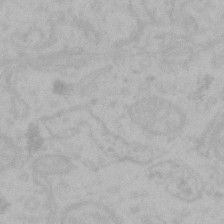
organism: Mouse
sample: Choroid plexus